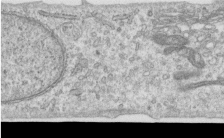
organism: Human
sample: Centriole in RPE cells